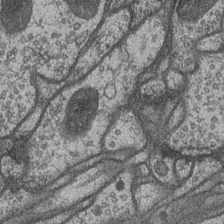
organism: Drosophila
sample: Optic medulla